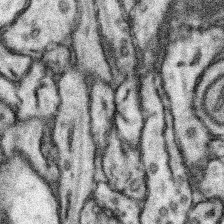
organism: Mouse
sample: Somatosensory cortex neuropil